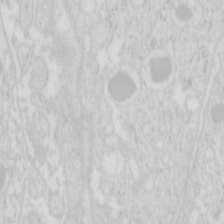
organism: Mouse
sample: Pancreas